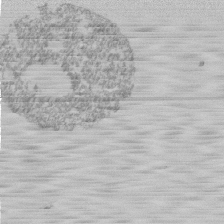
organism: Mouse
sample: Activated Pmel transgenic CD8+ T Cells